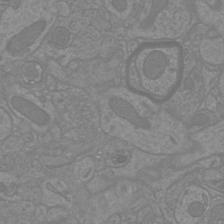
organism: Mouse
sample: Cortical neurons